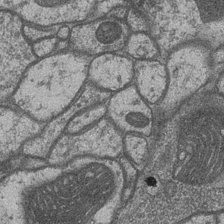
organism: Drosophila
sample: Optic medulla